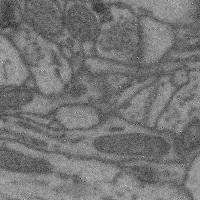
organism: Mouse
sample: Cerebral cortex